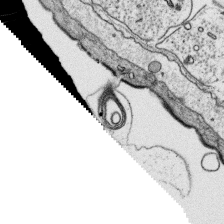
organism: Platynereis dumerilii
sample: Parapodia